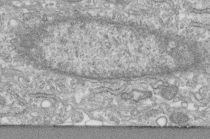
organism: Human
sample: Centriole in fibroblast cells